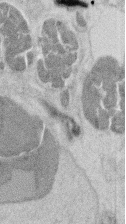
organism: Mouse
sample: T cell stromal cell synapse